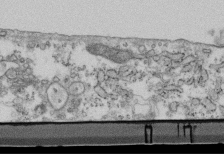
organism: Mouse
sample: Cilia; retinal pigment epithelium